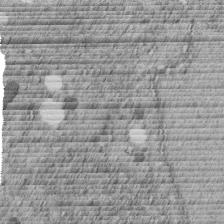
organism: C. elegans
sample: C. elegans embryo early stage